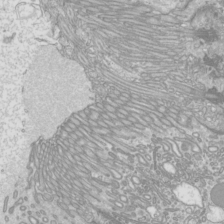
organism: Mouse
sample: Cilia; mouse epididymis